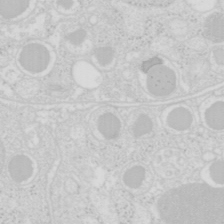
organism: Mouse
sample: Pancreas